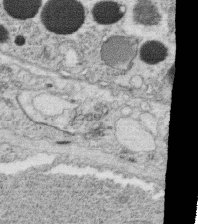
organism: C. elegans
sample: C. elegans oocyte; sperm cells